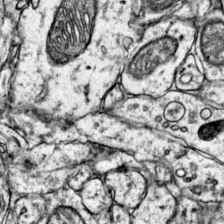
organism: Mouse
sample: Primary visual cortex